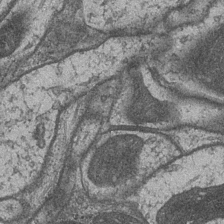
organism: Drosophila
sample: Optic medulla